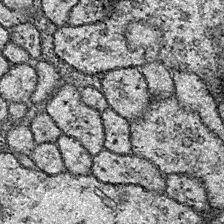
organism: Drosophila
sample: Ventral Nerve Cord